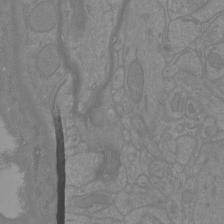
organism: Mouse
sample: Cortical neurons